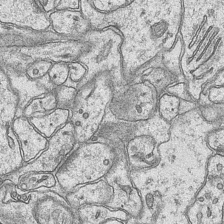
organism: Mouse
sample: CA1 Hippocampus